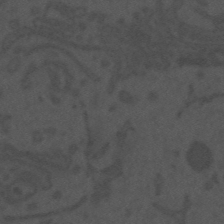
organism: Mouse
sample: Suprachiasmatic nucleus